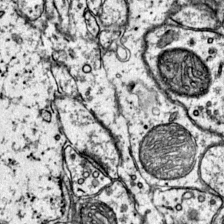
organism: Mouse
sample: Primary visual cortex